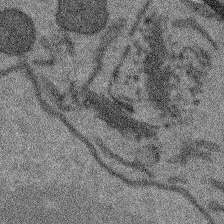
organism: Arabidopsis thaliana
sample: Root tip